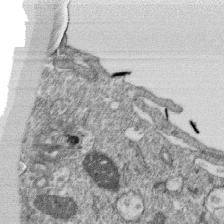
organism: African green monkey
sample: Vero E6 cells infected with SARS-CoV-2